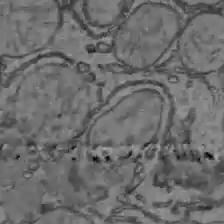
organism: C57BL Mouse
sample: Liver